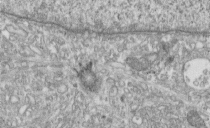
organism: Human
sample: Centriole in fibroblast cells